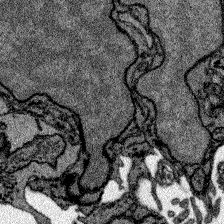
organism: Zebrafish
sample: Larval olfactory bulb